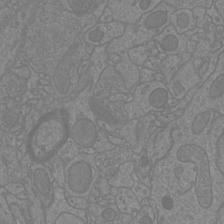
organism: Mouse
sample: Cortical neurons